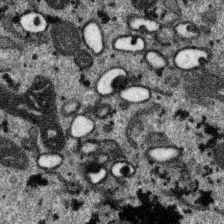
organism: Human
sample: Lung epithelial cells infected with SARS-CoV-2